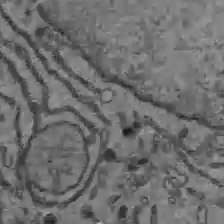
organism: C57BL Mouse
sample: Liver